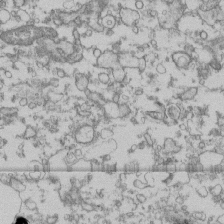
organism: Human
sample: Fibroblast cells